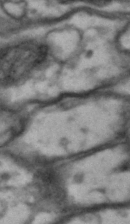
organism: Drosophila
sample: Brain